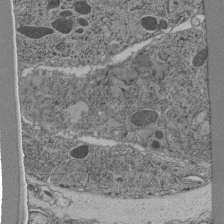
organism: C. elegans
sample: C. elegans pharynx